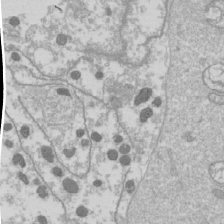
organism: Drosophila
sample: Cell division; meiosis; drosophila spermatocytes